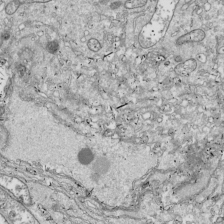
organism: Drosophila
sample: Cell division; meiosis; drosophila spermatocytes